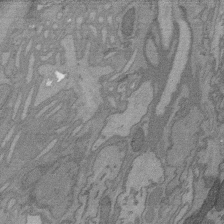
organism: C. elegans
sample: AFD neurons C. elegans